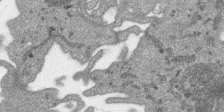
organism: Human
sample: Lung epithelial cells infected with SARS-CoV-2